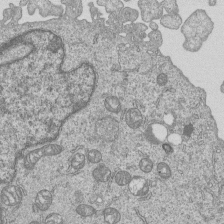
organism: Human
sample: MDA-MB-231 cells